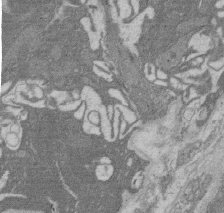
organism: Rat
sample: Salivary granule